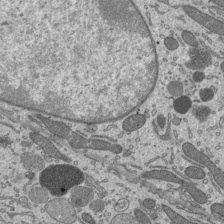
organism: Mouse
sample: Mouse epididymis efferent ductule cilia